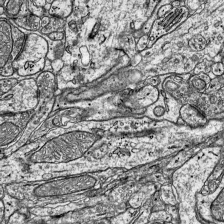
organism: Mouse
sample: Visual Cortex